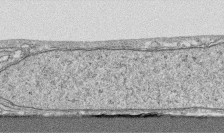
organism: Human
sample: CRL-1474